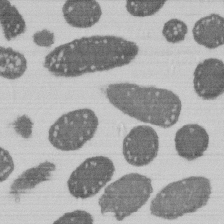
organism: E. coli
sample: Bacterial nucleoid